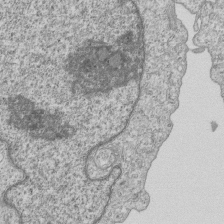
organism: Human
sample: MDA-MB-231 cells